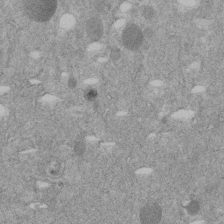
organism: C. elegans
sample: C. elegans embryo early stage